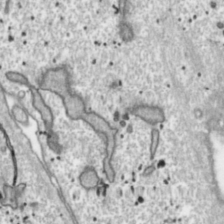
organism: Toxoplasma gondii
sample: Parasites in a vacuole inside a host cell